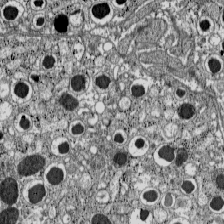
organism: C57BL Mouse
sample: Pancreatic islet